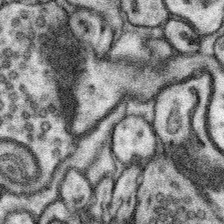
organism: Mouse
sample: Somatosensory cortex neuropil